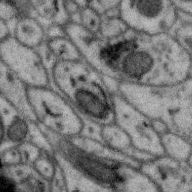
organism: Zebra finch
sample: Brain